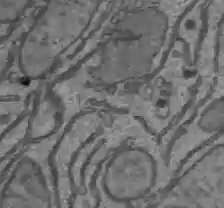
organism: C57BL Mouse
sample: Liver